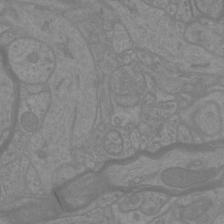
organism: Mouse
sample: Cortical neurons